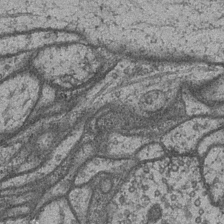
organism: Drosophila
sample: Optic medulla